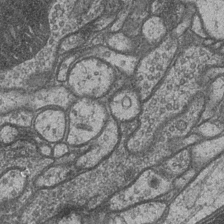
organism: Drosophila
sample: Optic medulla